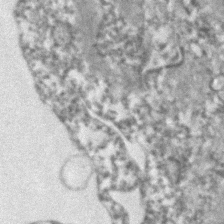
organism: Human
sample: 1205lu cells